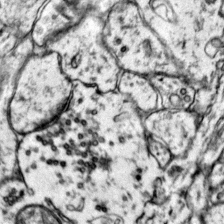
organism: Mouse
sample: Primary visual cortex